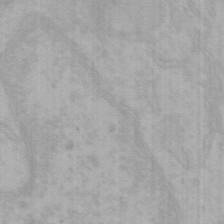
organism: Mouse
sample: Choroid plexus